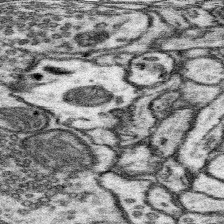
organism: Mouse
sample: Somatosensory cortex neuropil